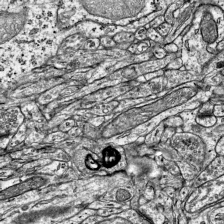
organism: Mouse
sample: Visual Cortex